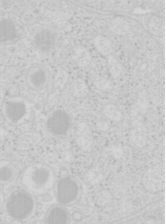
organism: Mouse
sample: Pancreas